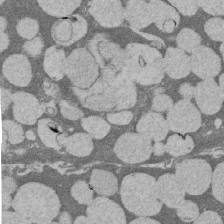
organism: Rat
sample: Salivary granule